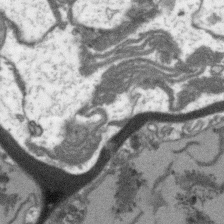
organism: Arabidopsis thaliana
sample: Root tip